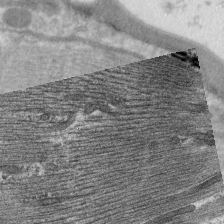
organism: C. elegans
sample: Pharynx